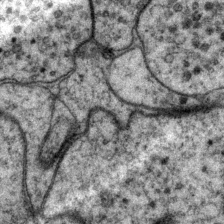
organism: P. pacificus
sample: Pharynx